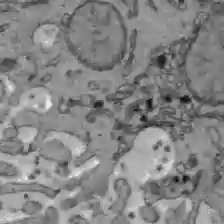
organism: C57BL Mouse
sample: Liver